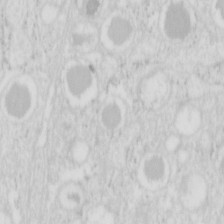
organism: Mouse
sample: Pancreas